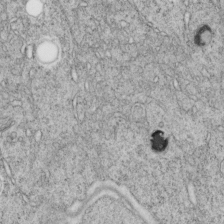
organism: C. elegans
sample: C. elegans embryo early stage